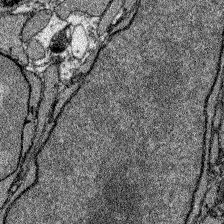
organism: Zebrafish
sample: Larval olfactory bulb